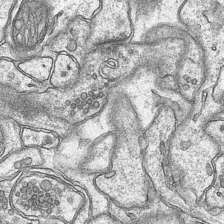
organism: Mouse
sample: CA1 Hippocampus